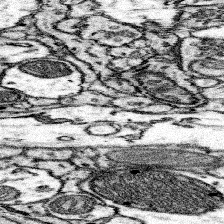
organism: Mouse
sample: Somatosensory cortex neuropil